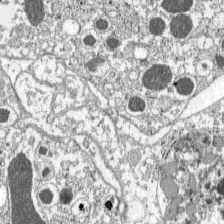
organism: C57BL Mouse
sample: Pancreatic islet